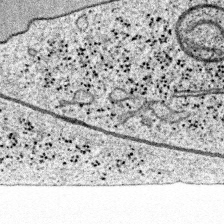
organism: Human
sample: HeLa cells